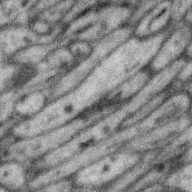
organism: Zebra finch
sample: Brain